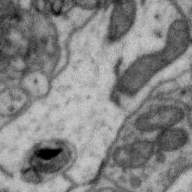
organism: Zebra finch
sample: Brain